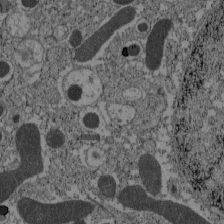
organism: C57BL Mouse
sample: Pancreatic islet